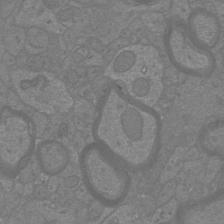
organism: Mouse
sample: Cortical neurons